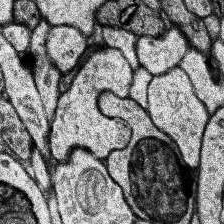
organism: Human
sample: Temporal Lobe